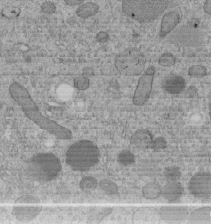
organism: C. elegans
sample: C. elegans embryo early stage